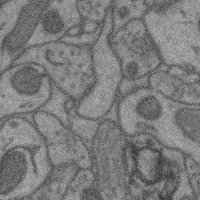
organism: Mouse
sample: Cerebral cortex